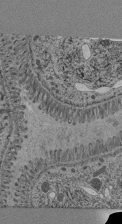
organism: C. elegans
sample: C. elegans pharynx